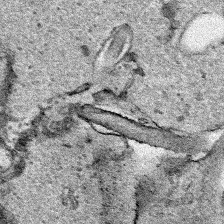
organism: Human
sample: Mitochondria in HCT116 cells